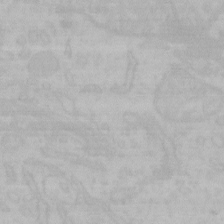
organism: Mouse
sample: Choroid plexus